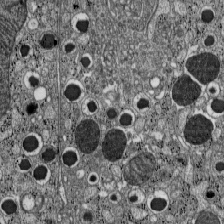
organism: C57BL Mouse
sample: Pancreatic islet